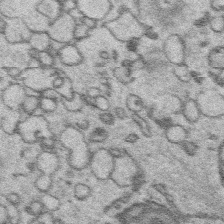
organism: Platynereis dumerilii